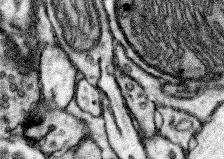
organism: Mouse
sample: Somatosensory cortex neuropil